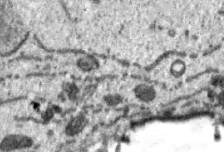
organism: Human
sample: HeLa cells